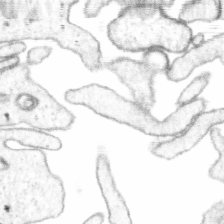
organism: Human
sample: HeLa cells